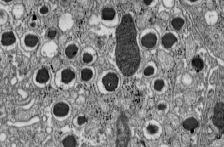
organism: C57BL Mouse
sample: Pancreatic islet